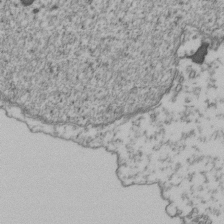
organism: Human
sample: Activated Jurkat CD4+ T cells